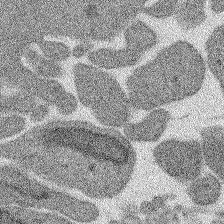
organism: Human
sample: HeLa cells